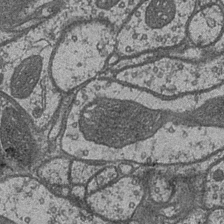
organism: Drosophila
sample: Optic medulla